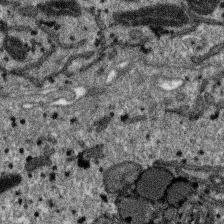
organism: Human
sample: Lung epithelial cells infected with SARS-CoV-2